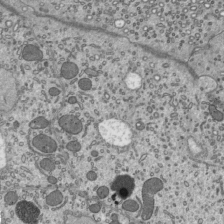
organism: Mouse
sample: Mouse epididymis efferent ductule cilia